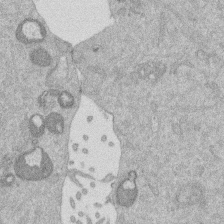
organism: Mouse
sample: Dividing mouse embryo 1 cell stage